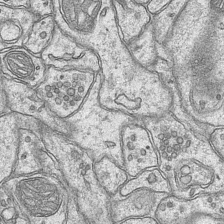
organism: Mouse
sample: CA1 Hippocampus